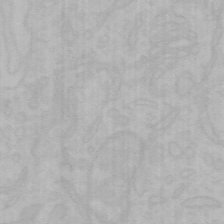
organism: Mouse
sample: Choroid plexus